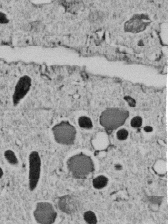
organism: C. elegans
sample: C. elegans embryo early stage